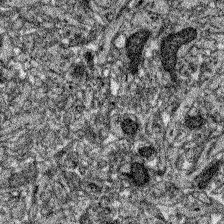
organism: Zebrafish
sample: Larval olfactory bulb